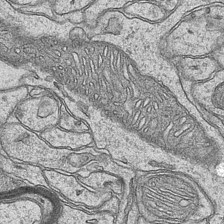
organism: Mouse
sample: CA1 Hippocampus